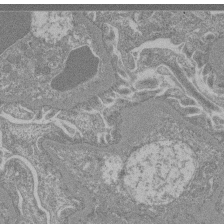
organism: Mouse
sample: Glomerulus